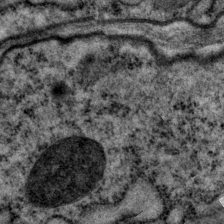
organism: P. pacificus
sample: Pharynx